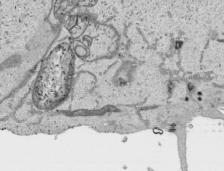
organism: Human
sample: Mitochondria in HCT116 cells